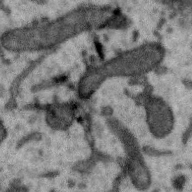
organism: Zebra finch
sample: Brain